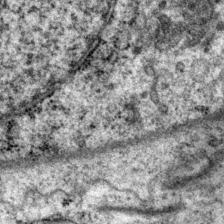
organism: P. pacificus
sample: Pharynx